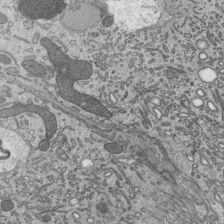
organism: Mouse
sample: Mouse epididymis efferent ductule cilia